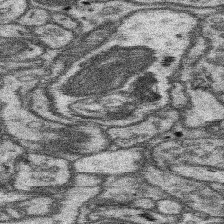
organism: Mouse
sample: Somatosensory cortex neuropil